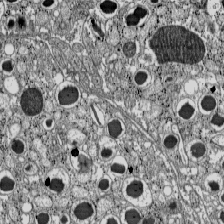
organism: C57BL Mouse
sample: Pancreatic islet